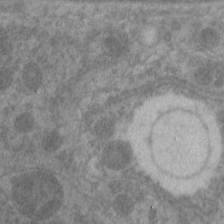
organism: C. elegans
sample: Pharynx